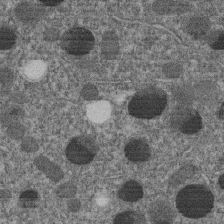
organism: C. elegans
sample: C. elegans embryo early stage